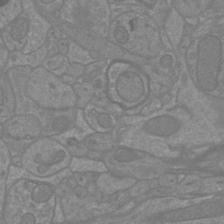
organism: Mouse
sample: Cortical neurons